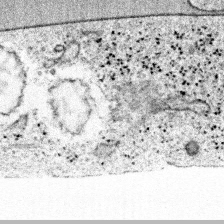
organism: Human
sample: HeLa cells